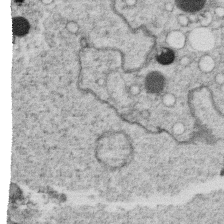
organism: C. elegans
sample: C. elegans oocyte; sperm cells